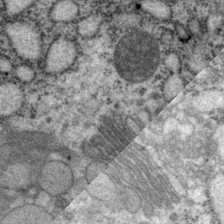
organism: P. pacificus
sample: Pharynx